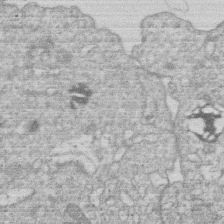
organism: Human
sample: Macrophage cells